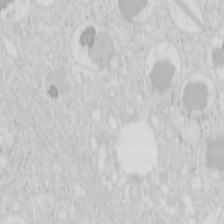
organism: Mouse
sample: Pancreas